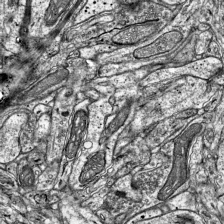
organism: Mouse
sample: Visual Cortex